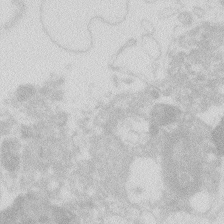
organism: Zebrafish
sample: Macrophage